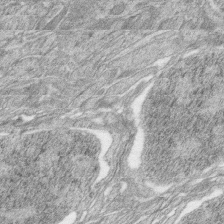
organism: Zebrafish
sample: synaptic ribbons in rod cells and cone cells